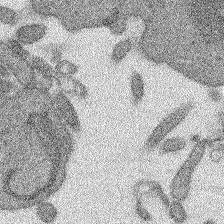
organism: Human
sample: HeLa cells